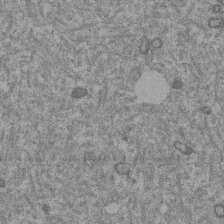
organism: Mouse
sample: Dividing mouse embryo 1 cell stage